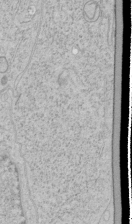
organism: Human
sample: Mitochondria in HCT116 cells